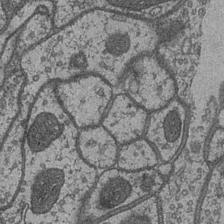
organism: Drosophila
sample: Optic medulla